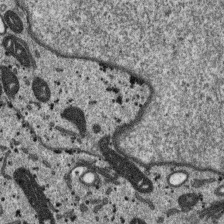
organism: Human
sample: Lung epithelial cells infected with SARS-CoV-2